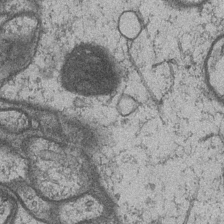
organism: Drosophila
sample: Optic medulla